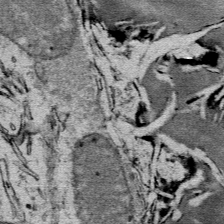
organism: Mouse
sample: Mouse Salivary gland